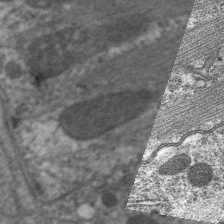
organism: C. elegans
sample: Pharynx